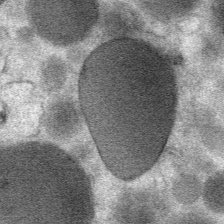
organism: Mouse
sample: Mouse Salivary gland